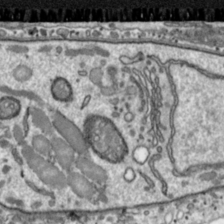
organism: Toxoplasma gondii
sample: Parasites in a vacuole inside a host cell